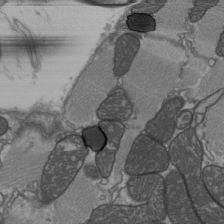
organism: C57BL Mouse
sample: Heart